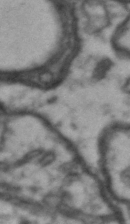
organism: Drosophila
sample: Brain